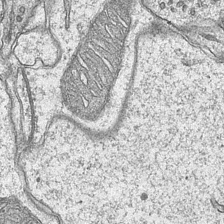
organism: Mouse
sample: CA1 Hippocampus